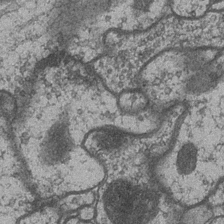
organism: Drosophila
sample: Optic medulla